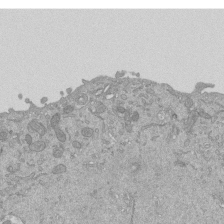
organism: Mouse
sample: ED-1 cell nuclei; centrioles